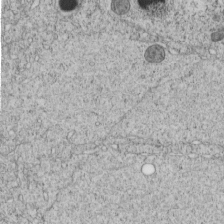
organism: C. elegans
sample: C. elegans embryo early stage